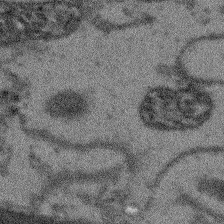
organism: Arabidopsis thaliana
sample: Root tip